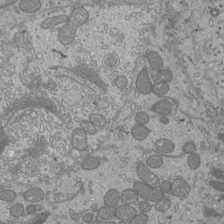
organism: Mouse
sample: Cilia; mouse epididymis